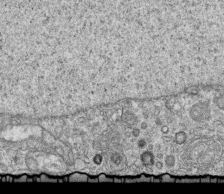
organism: Human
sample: HeLa cell HIV synapse